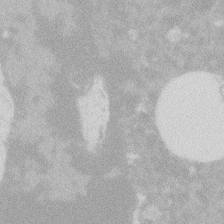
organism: Zebrafish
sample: Macrophage